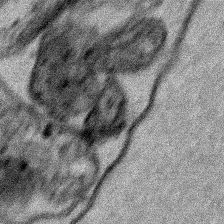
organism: Human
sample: Mitochondria in HCT116 cells